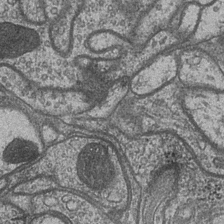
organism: Drosophila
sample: Optic medulla